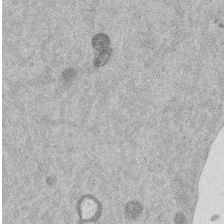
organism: Mouse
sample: Dividing mouse embryo 1 cell stage